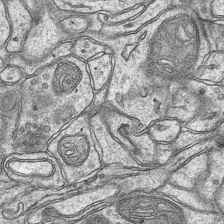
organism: Mouse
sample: CA1 Hippocampus